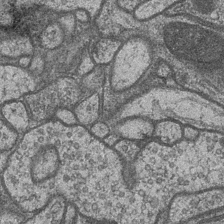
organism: Drosophila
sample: Optic medulla